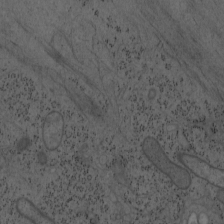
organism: Mouse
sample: OT-I killer T cells with ID8 ovarian cancer cells